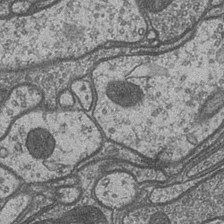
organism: Drosophila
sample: Optic medulla